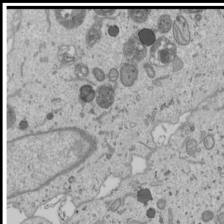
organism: Human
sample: Mitochondria in U2OS cells